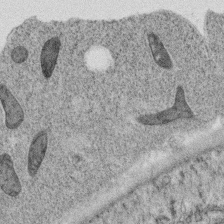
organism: C. elegans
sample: C. elegans oocyte; sperm cells